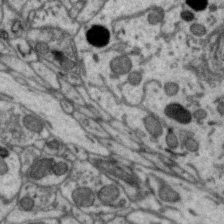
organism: Zebra finch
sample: Brain